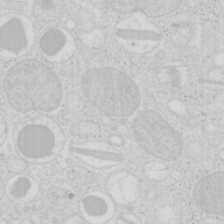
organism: Mouse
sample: Pancreas